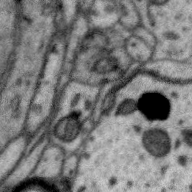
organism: Zebra finch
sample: Brain